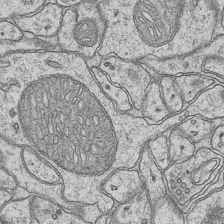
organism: Mouse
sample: CA1 Hippocampus